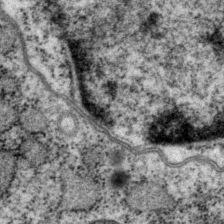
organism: P. pacificus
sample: Pharynx